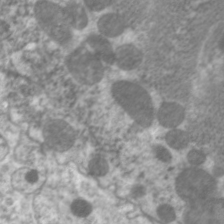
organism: C. elegans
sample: Pharynx